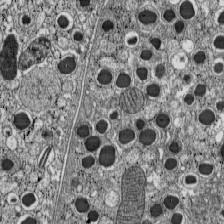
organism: C57BL Mouse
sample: Pancreatic islet